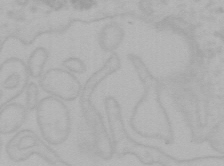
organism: Mouse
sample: Choroid plexus